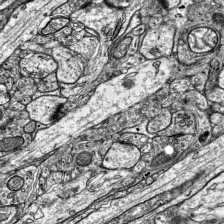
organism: Mouse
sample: Visual Cortex